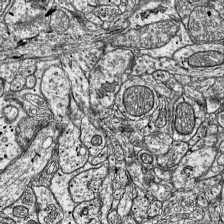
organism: Mouse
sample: Visual Cortex